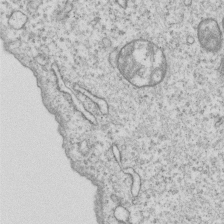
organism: Human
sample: MDA-MB-231 cells